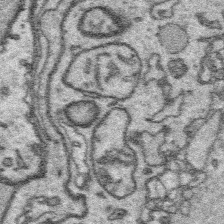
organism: Platynereis dumerilii